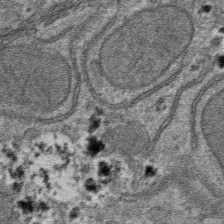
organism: Mouse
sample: Mouse hepatocytes